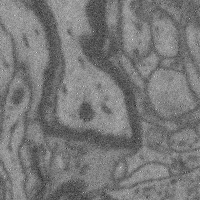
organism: Mouse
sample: Cerebral cortex